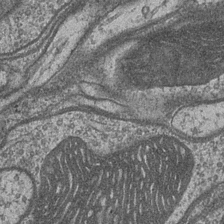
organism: Drosophila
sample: Optic medulla